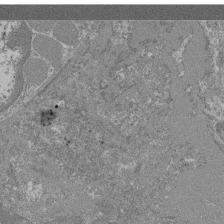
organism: Mouse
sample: Glomerulus